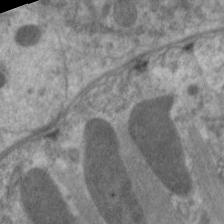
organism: C. elegans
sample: Pharynx